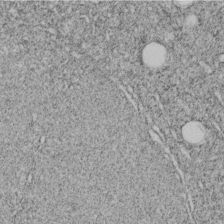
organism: C. elegans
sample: C. elegans embryo early stage